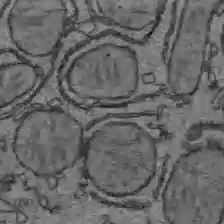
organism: C57BL Mouse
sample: Liver